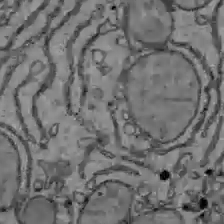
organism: C57BL Mouse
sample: Liver